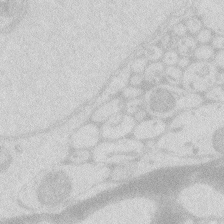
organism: Zebrafish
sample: Macrophage